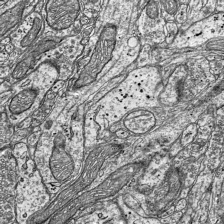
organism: Mouse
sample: Visual Cortex